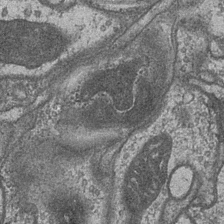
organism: Drosophila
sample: Optic medulla